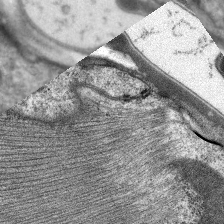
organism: C. elegans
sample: Pharynx